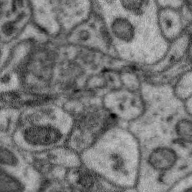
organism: Zebra finch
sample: Brain